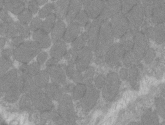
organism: C57BL Mouse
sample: Tibialis anterior muscle cell